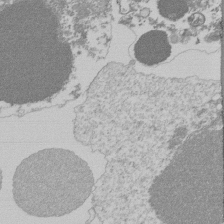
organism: Mouse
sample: Activated Pmel transgenic CD8+ T Cells